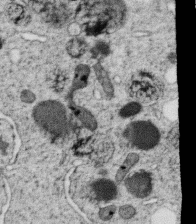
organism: C. elegans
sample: C. elegans oocyte; sperm cells